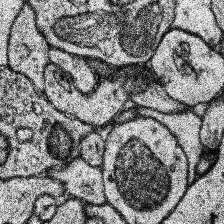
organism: Human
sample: Temporal Lobe